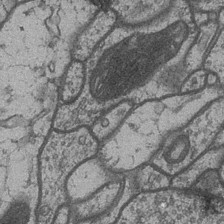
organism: Drosophila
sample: Optic medulla